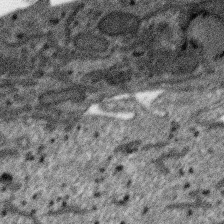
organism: Human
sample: Lung epithelial cells infected with SARS-CoV-2